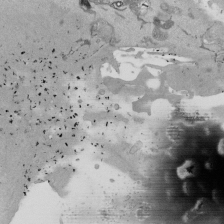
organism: Mouse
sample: ED-1 cell nuclei; centrioles